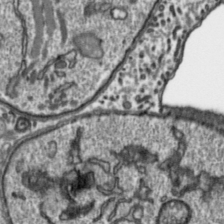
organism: Toxoplasma gondii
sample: Parasites in a vacuole inside a host cell